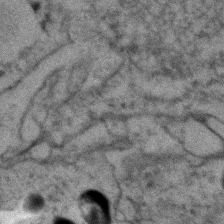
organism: Zebrafish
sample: Zebrafish embryo